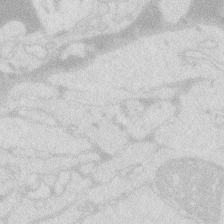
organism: Zebrafish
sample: Macrophage